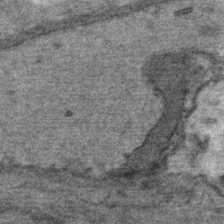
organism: Mouse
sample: Mouse Salivary gland